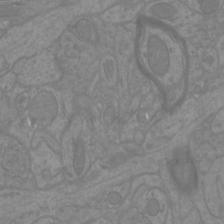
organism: Mouse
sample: Cortical neurons